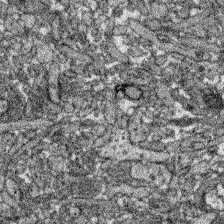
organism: Zebrafish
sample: Larval olfactory bulb